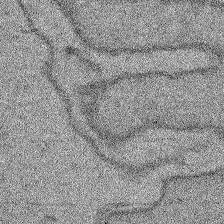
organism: Human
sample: HeLa cells